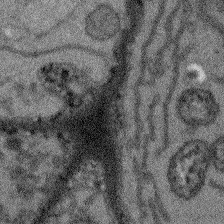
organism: Arabidopsis thaliana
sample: Root tip